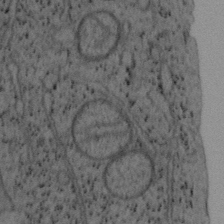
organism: Human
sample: HeLa cells